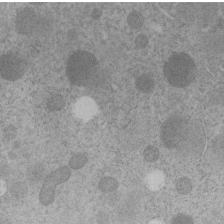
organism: C. elegans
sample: C. elegans embryo early stage